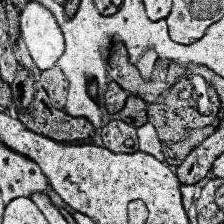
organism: Human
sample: Temporal Lobe